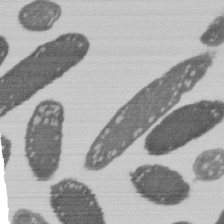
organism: E. coli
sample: Bacterial nucleoid